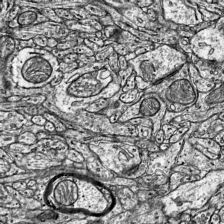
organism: Mouse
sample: Visual Cortex